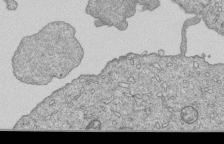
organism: Human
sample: MDA-MB-231 cells